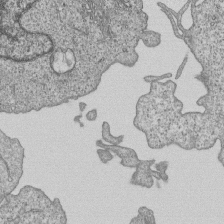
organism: Human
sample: MDA-MB-231 cells